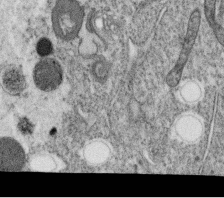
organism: C. elegans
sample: C. elegans oocyte; sperm cells